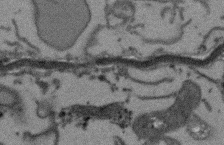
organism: Arabidopsis thaliana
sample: Root tip